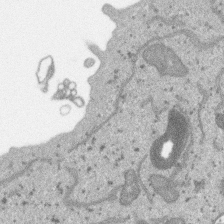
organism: Human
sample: Lung epithelial cells infected with SARS-CoV-2